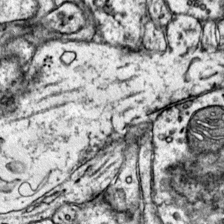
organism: Mouse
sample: Primary visual cortex